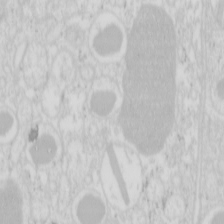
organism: Mouse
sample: Pancreas